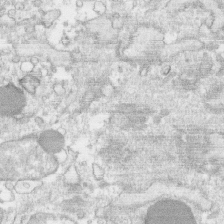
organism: Human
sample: CRL-1474